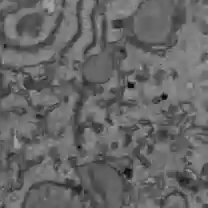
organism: C57BL Mouse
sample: Liver